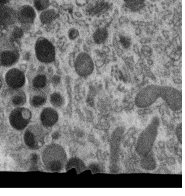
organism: C. elegans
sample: C. elegans oocyte; sperm cells